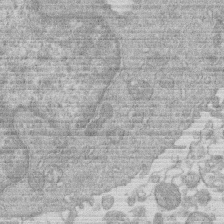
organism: Human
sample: Macrophage cells